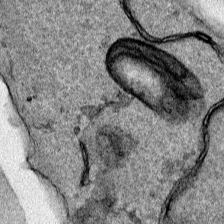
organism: Human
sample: Mitochondria in HCT116 cells